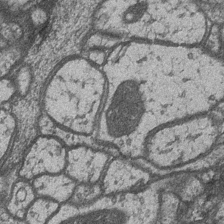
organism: Drosophila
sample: Optic medulla